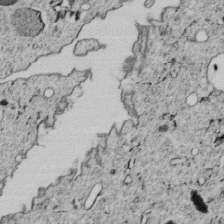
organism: C. elegans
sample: C. elegans embryo early stage